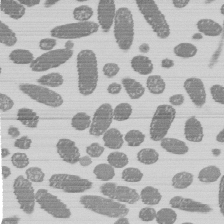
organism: E. coli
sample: Bacterial nucleoid